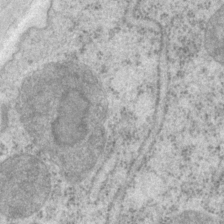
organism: P. pacificus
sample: Pharynx